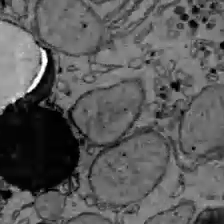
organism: C57BL Mouse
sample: Liver